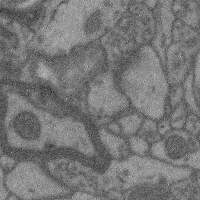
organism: Mouse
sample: Cerebral cortex